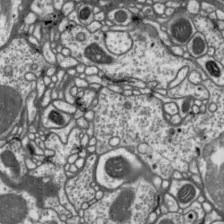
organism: Drosophila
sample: Protocerebral bridge